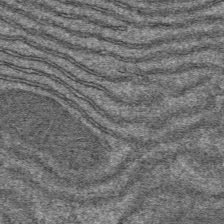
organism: Mouse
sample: Mouse hepatocytes